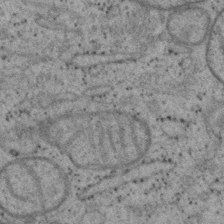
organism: Human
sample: HeLa cells